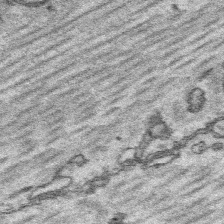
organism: Platynereis dumerilii